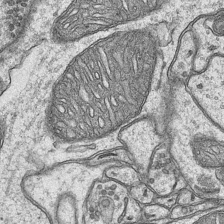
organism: Mouse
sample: CA1 Hippocampus